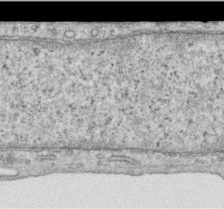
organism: Human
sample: Centriole in RPE cells